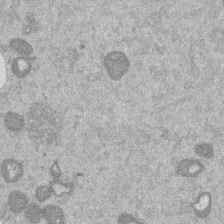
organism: Mouse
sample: Dividing mouse embryo 1 cell stage